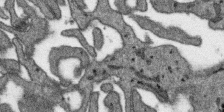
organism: Human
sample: Lung epithelial cells, uninfected (mock) control